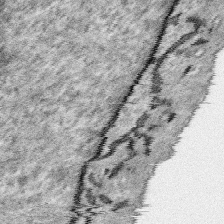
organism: Human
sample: HeLa cells